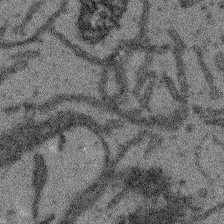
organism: Arabidopsis thaliana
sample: Root tip